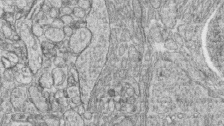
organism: Zebrafish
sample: synaptic ribbons in rod cells and cone cells